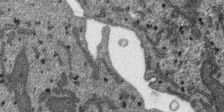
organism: Human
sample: Lung epithelial cells infected with SARS-CoV-2